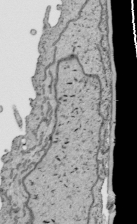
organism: Human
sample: Mitochondria in HCT116 cells